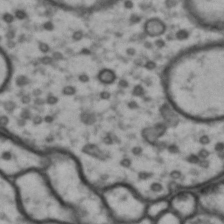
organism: Drosophila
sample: Brain